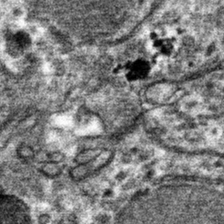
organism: Mouse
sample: Mouse hepatocytes